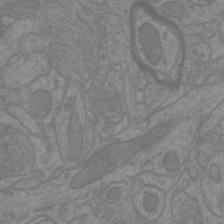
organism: Mouse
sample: Cortical neurons